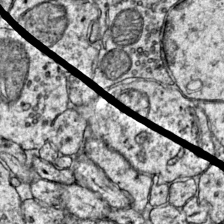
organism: Mouse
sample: Primary visual cortex